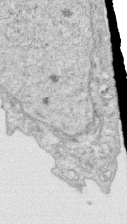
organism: Human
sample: HeLa cell HIV synapse